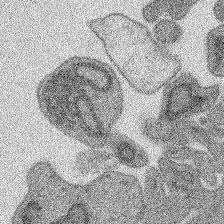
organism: Human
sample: HeLa cells